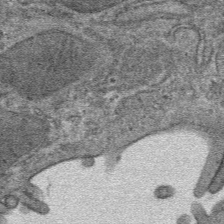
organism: Mouse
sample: Mouse hepatocytes